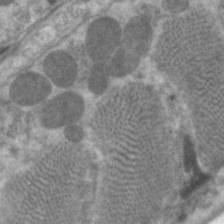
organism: C. elegans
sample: Pharynx